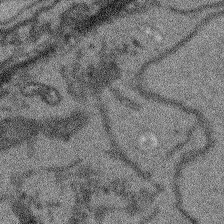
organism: Arabidopsis thaliana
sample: Root tip